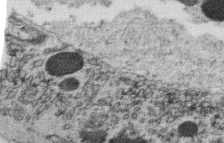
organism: C. elegans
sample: C. elegans oocyte; sperm cells